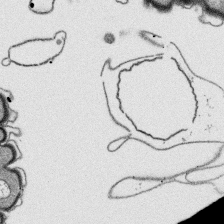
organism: Platynereis dumerilii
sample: Parapodia